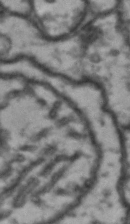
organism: Drosophila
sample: Brain